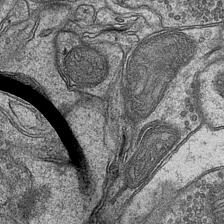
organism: Mouse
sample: CA1 Hippocampus